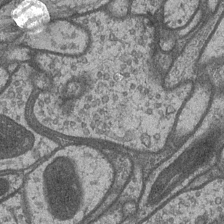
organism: Drosophila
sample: Optic medulla